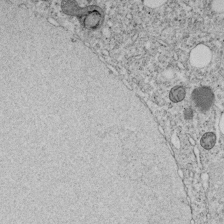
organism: C. elegans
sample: C. elegans embryo early stage